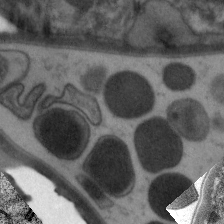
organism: C. elegans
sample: Pharynx